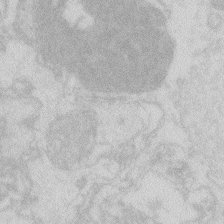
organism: Zebrafish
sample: Macrophage